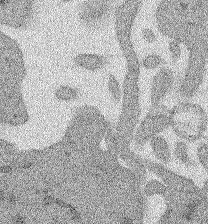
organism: Human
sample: HeLa cells